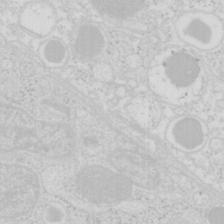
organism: Mouse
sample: Pancreas